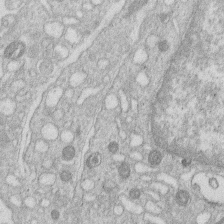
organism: Human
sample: Macrophage cells